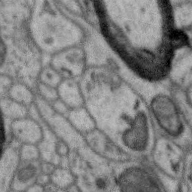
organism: Zebra finch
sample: Brain